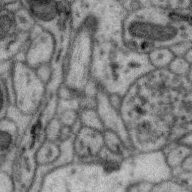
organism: Zebra finch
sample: Brain